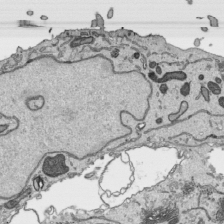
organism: Human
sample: Mitochondria in HCT116 cells